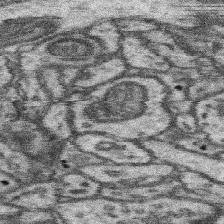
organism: Mouse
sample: Somatosensory cortex neuropil